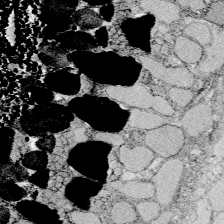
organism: Zebrafish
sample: Whole-Brain